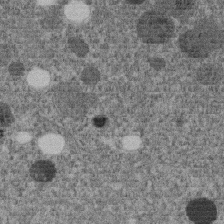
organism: C. elegans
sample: C. elegans embryo early stage